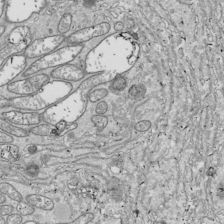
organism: Drosophila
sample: Cell division; meiosis; drosophila spermatocytes